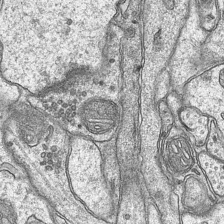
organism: Mouse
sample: CA1 Hippocampus